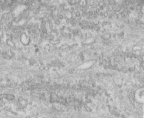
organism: Human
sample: Centriole in fibroblast cells